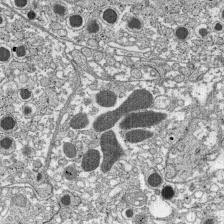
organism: C57BL Mouse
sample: Pancreatic islet